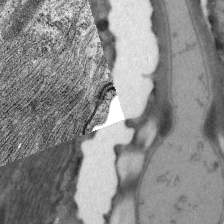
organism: C. elegans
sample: Pharynx